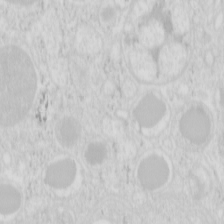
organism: Mouse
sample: Pancreas